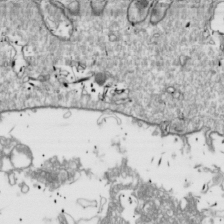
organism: Drosophila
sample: Cell division; meiosis; drosophila spermatocytes